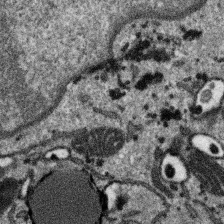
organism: Human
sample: Lung epithelial cells infected with SARS-CoV-2